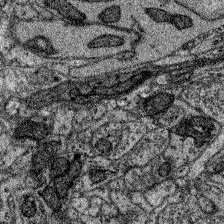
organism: Zebrafish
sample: Larval olfactory bulb